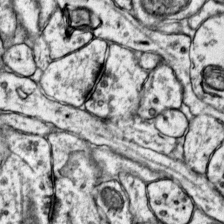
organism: Mouse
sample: Primary visual cortex